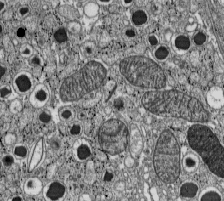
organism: C57BL Mouse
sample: Pancreatic islet